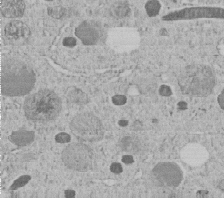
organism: C. elegans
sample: C. elegans embryo early stage